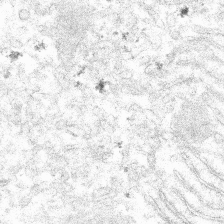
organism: Mouse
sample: Mouse hepatocytes